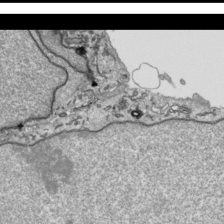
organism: Human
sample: Mitochondria in HCT116 cells